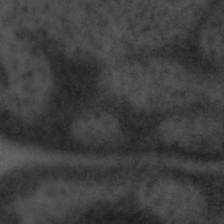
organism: Tuwongella immobilis